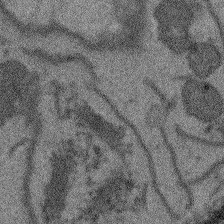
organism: Arabidopsis thaliana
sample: Root tip